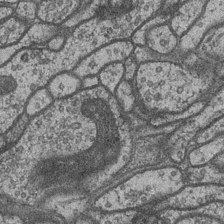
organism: Drosophila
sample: Optic medulla